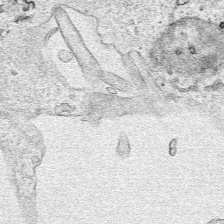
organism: Human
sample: Mitochondria in HCT116 cells